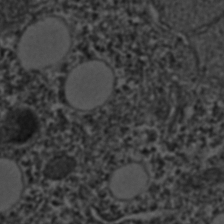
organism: C. elegans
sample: C. elegans embryo